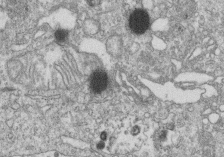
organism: Human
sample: HeLa cell HIV synapse